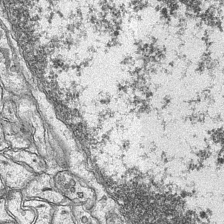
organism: Mouse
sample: CA1 Hippocampus